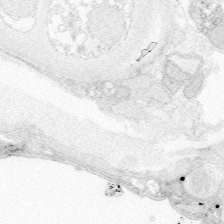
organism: Zebrafish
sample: Whole-Brain